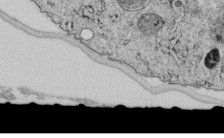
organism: C. elegans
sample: C. elegans embryo early stage